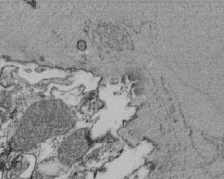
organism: Tetrahymena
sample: Cilia in tetrahymena